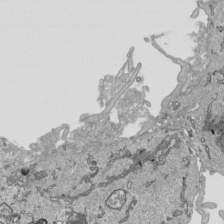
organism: Human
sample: Mitochondria in HCT116 cells